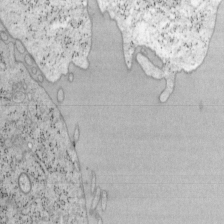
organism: Mouse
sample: OT-I killer T cells with ID8 ovarian cancer cells